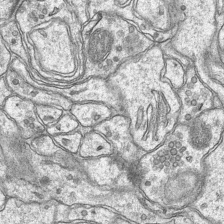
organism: Mouse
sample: CA1 Hippocampus